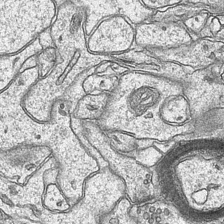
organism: Mouse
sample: CA1 Hippocampus